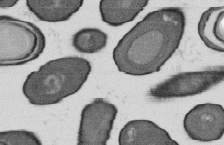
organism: B. subtilis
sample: Bacterial spore